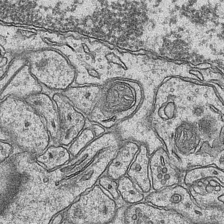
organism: Mouse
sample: CA1 Hippocampus